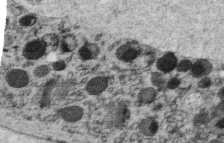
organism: C. elegans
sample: C. elegans oocyte; sperm cells